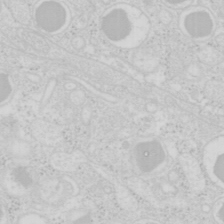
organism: Mouse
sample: Pancreas